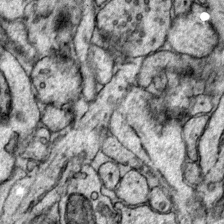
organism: Mouse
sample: Primary visual cortex